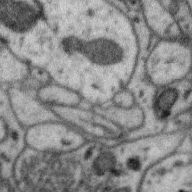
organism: Zebra finch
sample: Brain